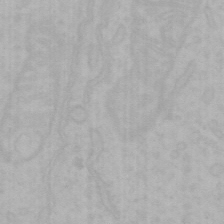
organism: Mouse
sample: Choroid plexus